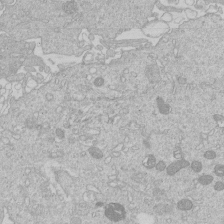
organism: Human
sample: Macrophage cells